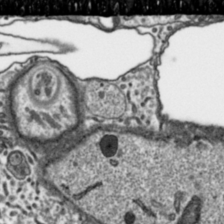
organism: Toxoplasma gondii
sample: Parasites in a vacuole inside a host cell